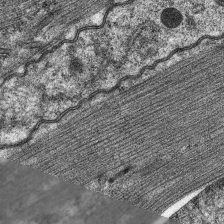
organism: C. elegans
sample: Pharynx